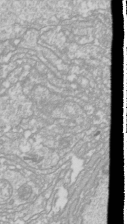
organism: Drosophila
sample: Cell division; meiosis; drosophila spermatocytes